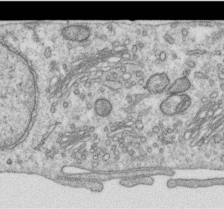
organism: Human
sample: Centriole in RPE cells